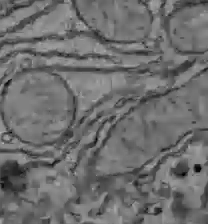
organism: C57BL Mouse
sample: Liver